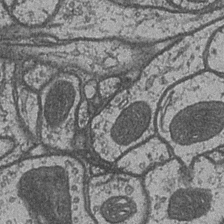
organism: Drosophila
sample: Optic medulla